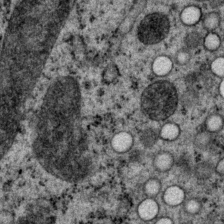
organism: P. pacificus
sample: Pharynx